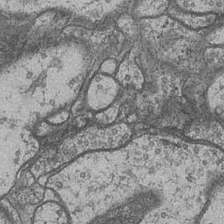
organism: Drosophila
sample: Optic medulla